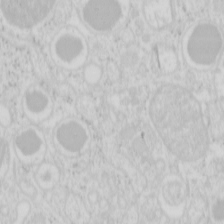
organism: Mouse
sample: Pancreas